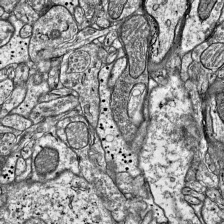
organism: Mouse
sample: Visual Cortex